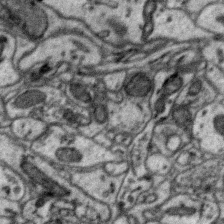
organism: Zebra finch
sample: Brain